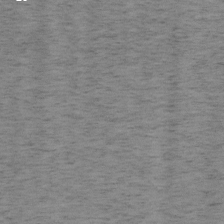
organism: Mouse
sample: OT-I killer T cells with ID8 ovarian cancer cells